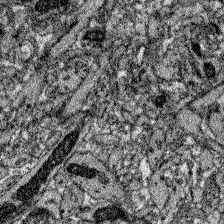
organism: Zebrafish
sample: Larval olfactory bulb